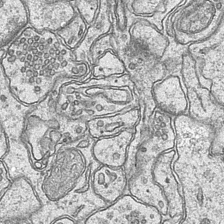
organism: Mouse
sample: CA1 Hippocampus